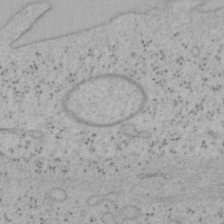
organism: Human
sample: HeLa cells